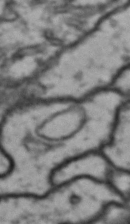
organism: Drosophila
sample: Brain